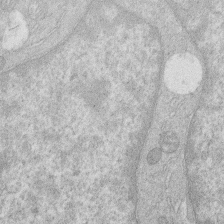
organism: Human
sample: Macrophage cells